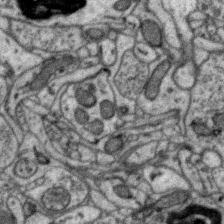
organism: Zebra finch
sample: Brain